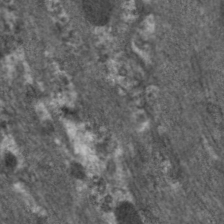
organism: C. elegans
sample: Pharynx